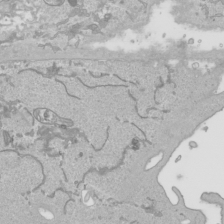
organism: Human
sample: Mitochondria in HCT116 cells